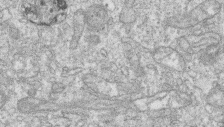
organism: Human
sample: HeLa cell HIV synapse